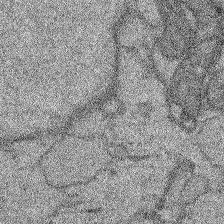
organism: Human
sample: HeLa cells